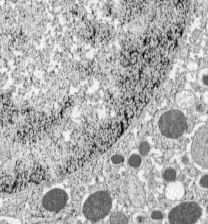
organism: C57BL Mouse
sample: Pancreatic islet